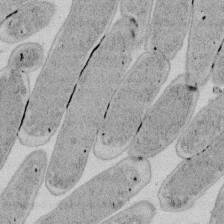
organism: E. coli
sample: Bacterial nucleoid